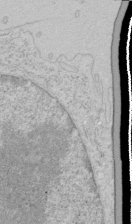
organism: Human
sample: Mitochondria in HCT116 cells